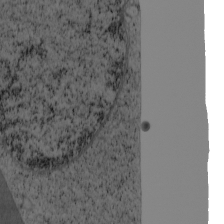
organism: African green monkey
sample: COS-7 cells